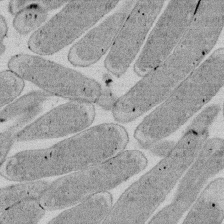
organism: E. coli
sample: Bacterial nucleoid